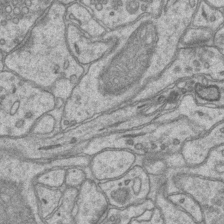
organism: Mouse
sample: CA1 Hippocampus